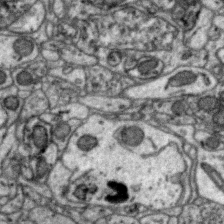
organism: Zebra finch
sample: Brain